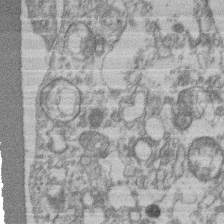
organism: Mouse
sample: T cell stromal cell synapse